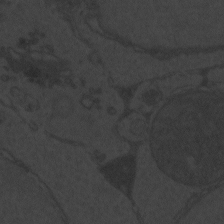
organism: Zebrafish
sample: Macrophage infected with Toxoplasma gondii